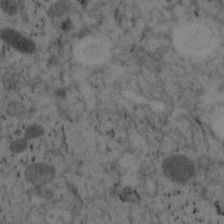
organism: Human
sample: HeLa cells